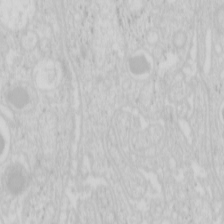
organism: Mouse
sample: Pancreas